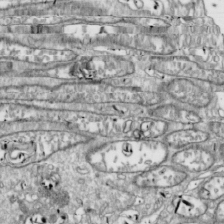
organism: Drosophila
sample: Cell division; meiosis; drosophila spermatocytes